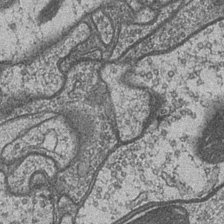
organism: Drosophila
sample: Optic medulla